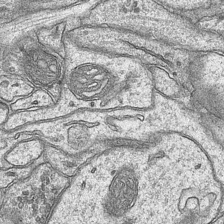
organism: Mouse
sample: CA1 Hippocampus